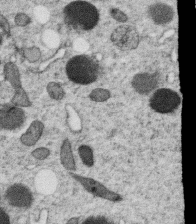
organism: C. elegans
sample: C. elegans oocyte; sperm cells